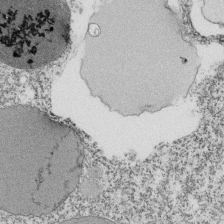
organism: Tetrahymena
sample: Cilia in tetrahymena